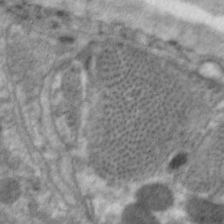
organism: C. elegans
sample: Pharynx